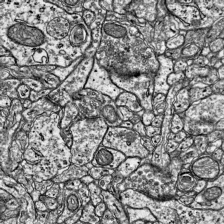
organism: Mouse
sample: Visual Cortex